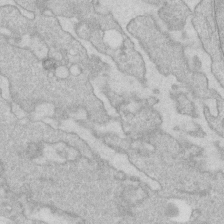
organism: Human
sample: Fibroblast cells